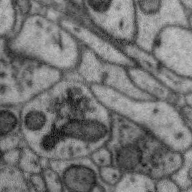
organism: Zebra finch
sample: Brain